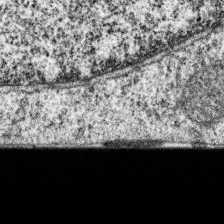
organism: Human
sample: HeLa cells